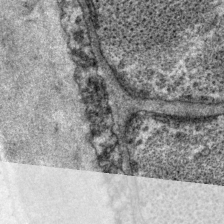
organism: P. pacificus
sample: Pharynx